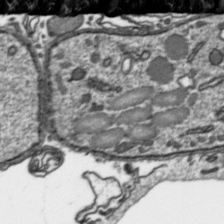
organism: Toxoplasma gondii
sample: Parasites in a vacuole inside a host cell